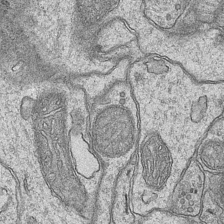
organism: Mouse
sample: CA1 Hippocampus